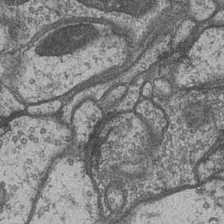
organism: Drosophila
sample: Optic medulla